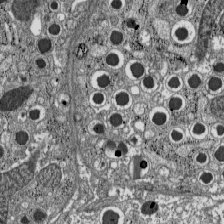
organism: C57BL Mouse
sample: Pancreatic islet